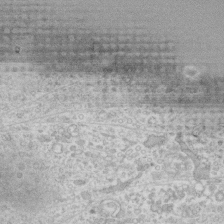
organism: Human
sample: Fibroblast cells